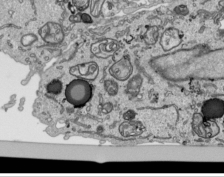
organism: Human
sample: Mitochondria in HCT116 cells